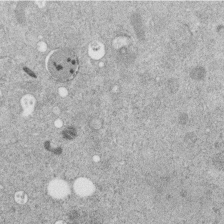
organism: C. elegans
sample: C. elegans embryo early stage